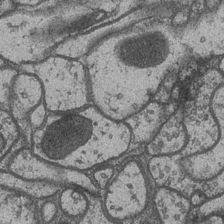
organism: Drosophila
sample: Optic medulla